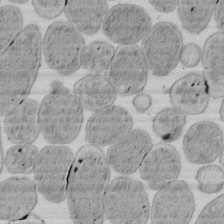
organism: E. coli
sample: Bacterial nucleoid